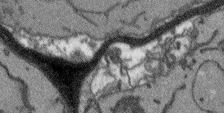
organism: Arabidopsis thaliana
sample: Root tip